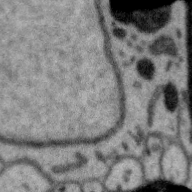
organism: Zebra finch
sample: Brain